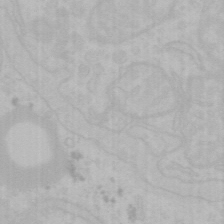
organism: Mouse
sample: Choroid plexus